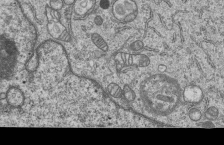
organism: Human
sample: MDA-MB-231 cells